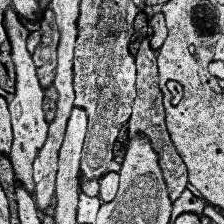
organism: Human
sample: Temporal Lobe